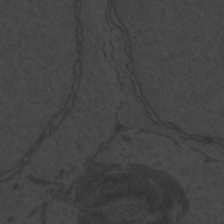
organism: Zebrafish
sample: Macrophage infected with Toxoplasma gondii